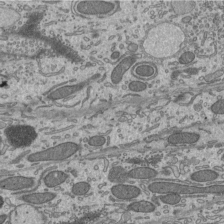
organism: Mouse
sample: Mouse epididymis efferent ductule cilia